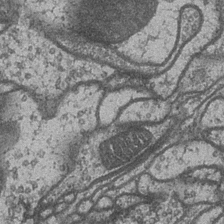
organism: Drosophila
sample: Optic medulla